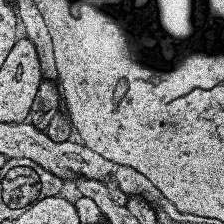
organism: Human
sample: Temporal Lobe